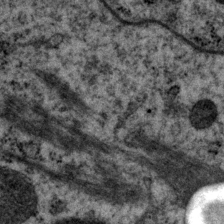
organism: P. pacificus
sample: Pharynx